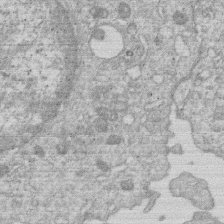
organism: Human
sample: Macrophage cells